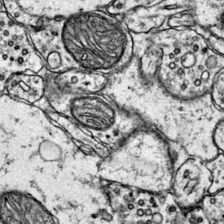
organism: Mouse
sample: Primary visual cortex